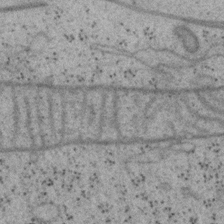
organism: Human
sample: HeLa cells